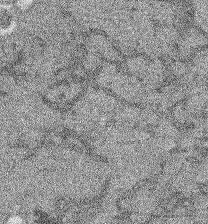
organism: Human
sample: HeLa cells